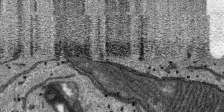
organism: Human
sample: Lung epithelial cells, uninfected (mock) control